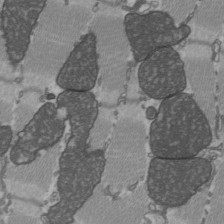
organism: C57BL Mouse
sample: Heart